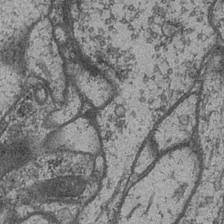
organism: Drosophila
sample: Optic medulla